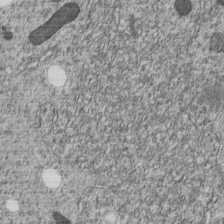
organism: C. elegans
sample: C. elegans embryo early stage